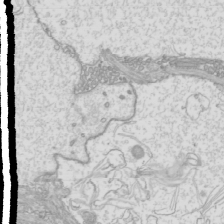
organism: Mouse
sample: Cilia; mouse epididymis